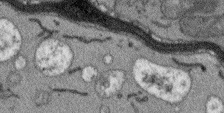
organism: Arabidopsis thaliana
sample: Root tip